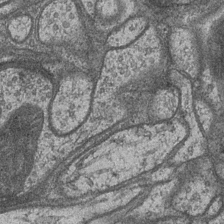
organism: Drosophila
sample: Optic medulla